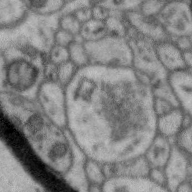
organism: Zebra finch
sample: Brain